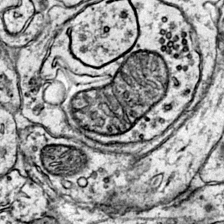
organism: Mouse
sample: Primary visual cortex